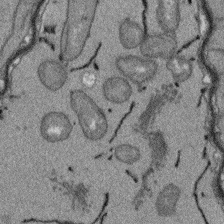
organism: Arabidopsis thaliana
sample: Root tip